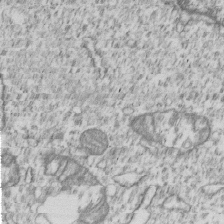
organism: Human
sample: MDA-MB-231 cells